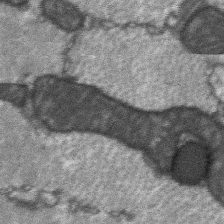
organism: C57BL Mouse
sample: Soleus